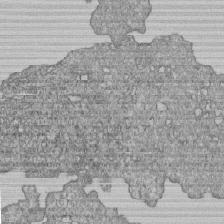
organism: Human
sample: MDA-MB-231 cells